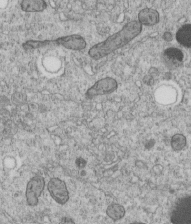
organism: C. elegans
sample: C. elegans embryo early stage